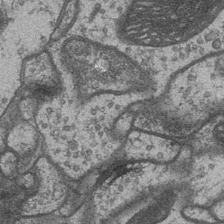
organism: Drosophila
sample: Optic medulla